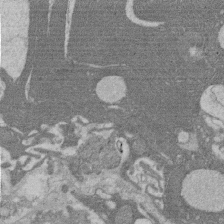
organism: Rat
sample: Salivary granule